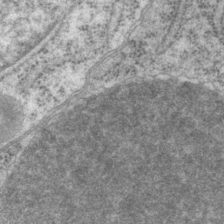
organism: P. pacificus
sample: Pharynx